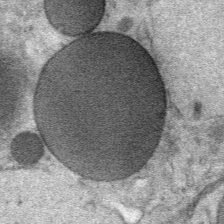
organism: Mouse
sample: Mouse Salivary gland